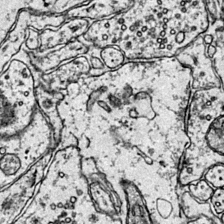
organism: Mouse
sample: Primary visual cortex